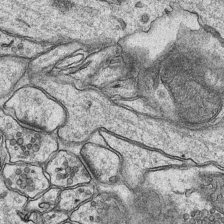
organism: Mouse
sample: CA1 Hippocampus